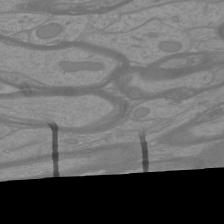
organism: Mouse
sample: Cortical neurons